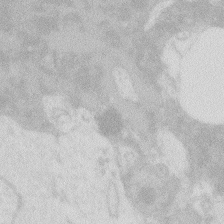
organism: Zebrafish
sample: Macrophage